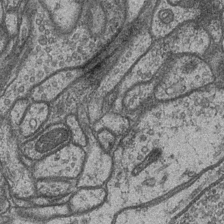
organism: Drosophila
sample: Optic medulla